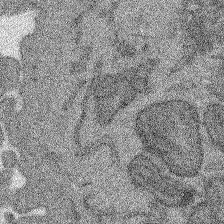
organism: Human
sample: HeLa cells